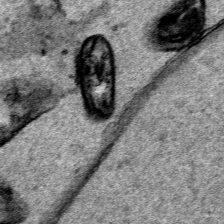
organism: Human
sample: Mitochondria in HCT116 cells